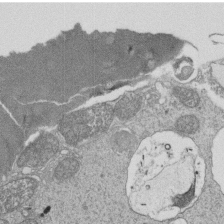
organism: Tetrahymena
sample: Cilia in tetrahymena